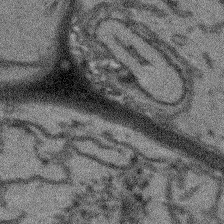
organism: Arabidopsis thaliana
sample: Root tip